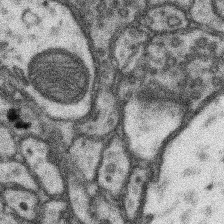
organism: Mouse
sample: Somatosensory cortex neuropil